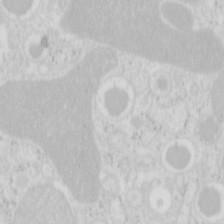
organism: Mouse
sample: Pancreas